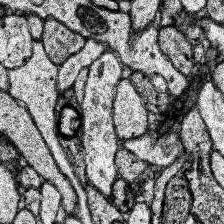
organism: Human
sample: Temporal Lobe